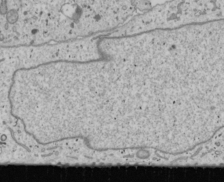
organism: Human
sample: Mitochondria in U2OS cells